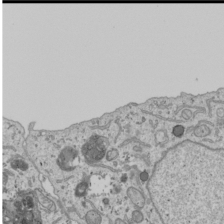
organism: Human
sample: Mitochondria in U2OS cells